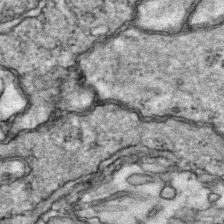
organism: Zebrafish